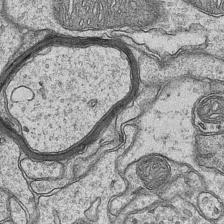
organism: Mouse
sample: CA1 Hippocampus